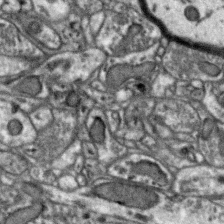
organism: Zebra finch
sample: Brain